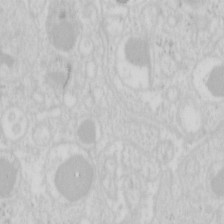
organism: Mouse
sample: Pancreas